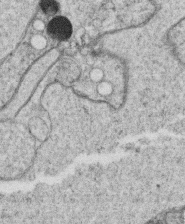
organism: C. elegans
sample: C. elegans oocyte; sperm cells